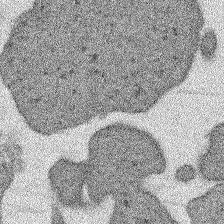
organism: Human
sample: HeLa cells